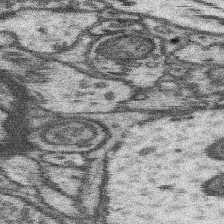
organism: Mouse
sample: Somatosensory cortex neuropil